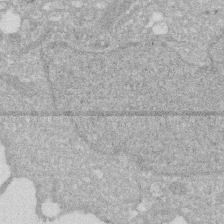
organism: Human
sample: HIV infected U937 cells